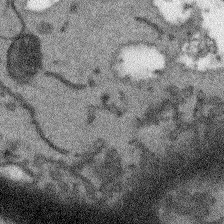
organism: Arabidopsis thaliana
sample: Root tip